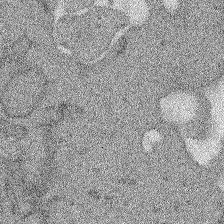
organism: Human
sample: HeLa cells